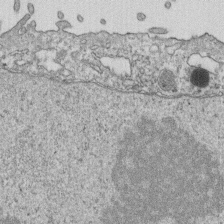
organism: Human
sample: HeLa cell HIV synapse